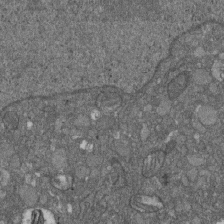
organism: Drosophila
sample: Nephrocyte